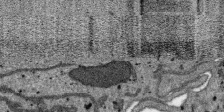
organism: Human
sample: Lung epithelial cells, uninfected (mock) control